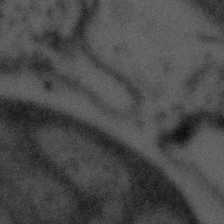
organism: Tuwongella immobilis